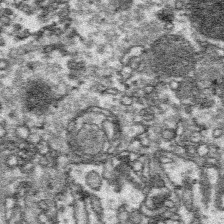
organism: Platynereis dumerilii